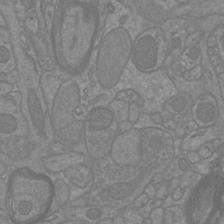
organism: Mouse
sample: Cortical neurons